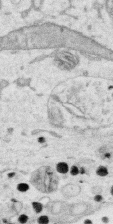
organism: Human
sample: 1205lu cells